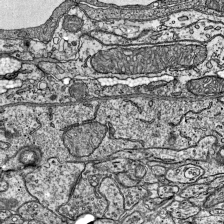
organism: Mouse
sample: Visual Cortex